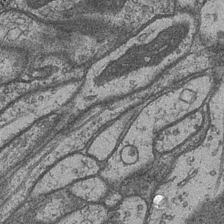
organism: Drosophila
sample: Optic medulla